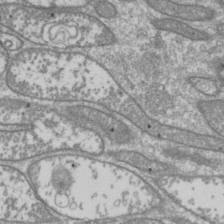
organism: Drosophila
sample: Cell division; meiosis; drosophila spermatocytes